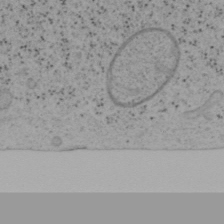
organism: Human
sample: HeLa cells